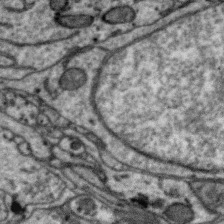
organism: Zebra finch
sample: Brain